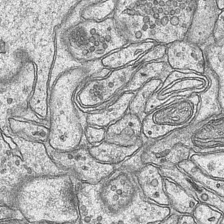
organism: Mouse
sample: CA1 Hippocampus